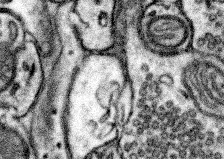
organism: Mouse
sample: Somatosensory cortex neuropil